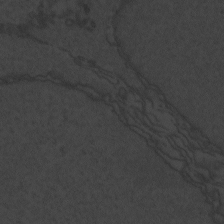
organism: Zebrafish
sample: Macrophage infected with Toxoplasma gondii